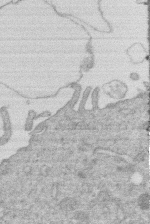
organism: Human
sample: Macrophage cells